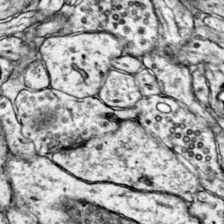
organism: Mouse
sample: Primary visual cortex